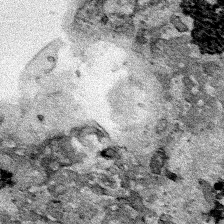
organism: Human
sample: Mitochondria in HCT116 cells